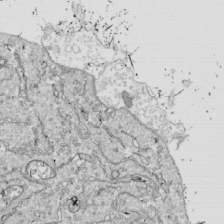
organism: Drosophila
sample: Cell division; meiosis; drosophila spermatocytes